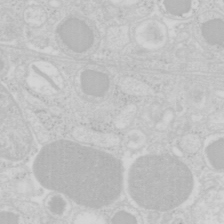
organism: Mouse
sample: Pancreas